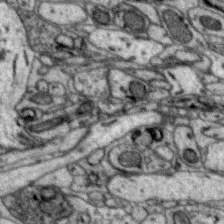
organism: Zebra finch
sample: Brain